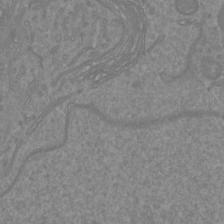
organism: Mouse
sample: Cortical neurons